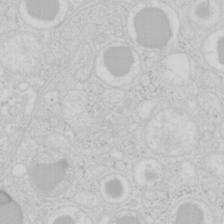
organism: Mouse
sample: Pancreas